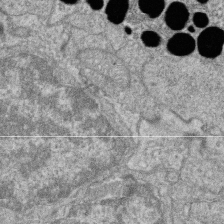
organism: Zebrafish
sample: Cilia; retinal pigment epithelium